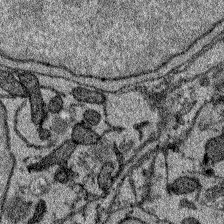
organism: Zebrafish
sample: Larval olfactory bulb